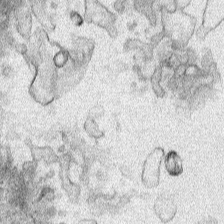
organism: Human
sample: Mitochondria in HCT116 cells